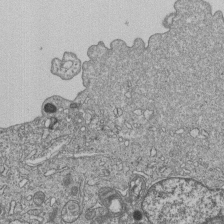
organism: Human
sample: MDA-MB-231 cells